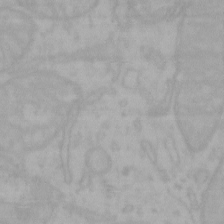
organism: Mouse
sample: Choroid plexus